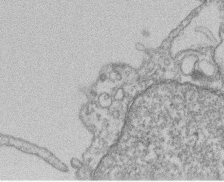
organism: Mouse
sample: T cell stromal cell synapse